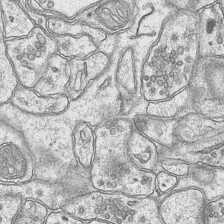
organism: Mouse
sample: CA1 Hippocampus